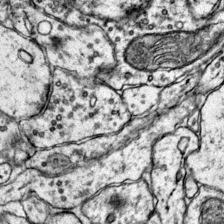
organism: Mouse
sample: Primary visual cortex